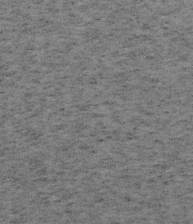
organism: Mouse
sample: OT-I killer T cells with ID8 ovarian cancer cells